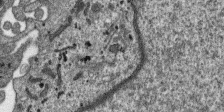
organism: Human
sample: Lung epithelial cells infected with SARS-CoV-2